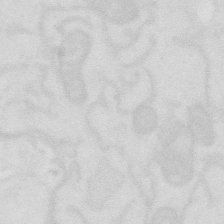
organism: Human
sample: HeLa cells